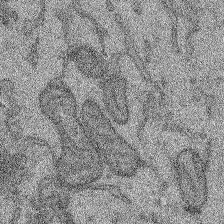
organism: Human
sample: HeLa cells